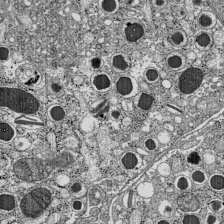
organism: C57BL Mouse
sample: Pancreatic islet